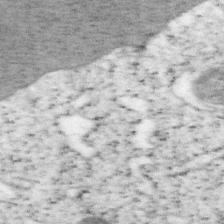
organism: Mouse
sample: OT-I killer T cells with ID8 ovarian cancer cells